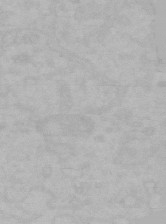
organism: Mouse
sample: Choroid plexus